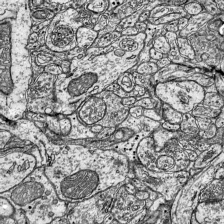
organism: Mouse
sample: Visual Cortex